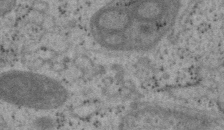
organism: Human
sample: HeLa cells